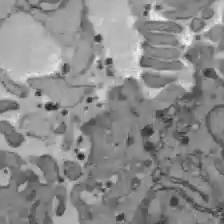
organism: C57BL Mouse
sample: Liver